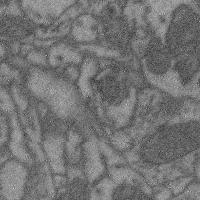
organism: Mouse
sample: Cerebral cortex